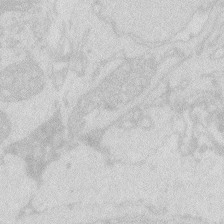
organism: Zebrafish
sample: Macrophage